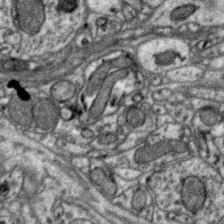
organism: Zebra finch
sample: Brain